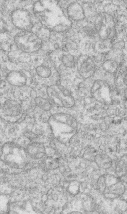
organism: Human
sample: HeLa cell HIV synapse